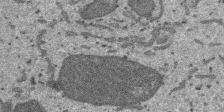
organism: Human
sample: Lung epithelial cells infected with SARS-CoV-2